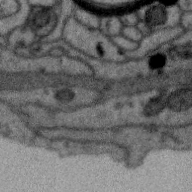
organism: Zebra finch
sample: Brain